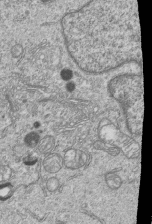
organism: Human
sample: MDA-MB-231 cells